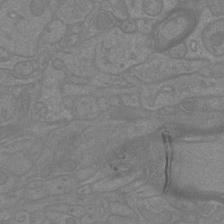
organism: Mouse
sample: Cortical neurons